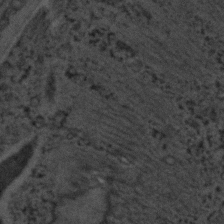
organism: C. elegans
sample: C. elegans embryo